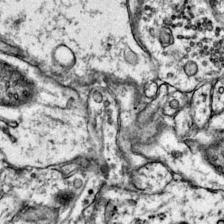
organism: Mouse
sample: Primary visual cortex